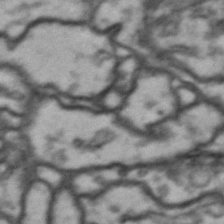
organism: Drosophila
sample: Brain